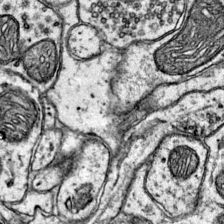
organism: Mouse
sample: Primary visual cortex